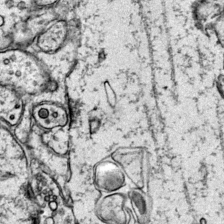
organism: Mouse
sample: Primary visual cortex